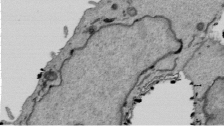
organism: Mouse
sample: ED-1 cell nuclei; centrioles